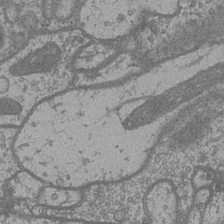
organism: Drosophila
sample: Optic medulla